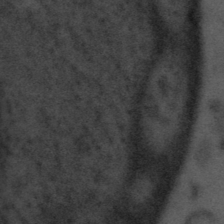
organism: Tuwongella immobilis